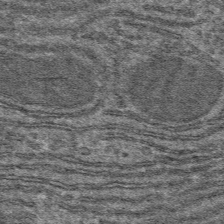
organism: Mouse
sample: Mouse hepatocytes